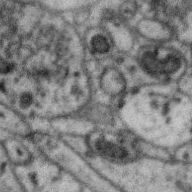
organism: Zebra finch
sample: Brain